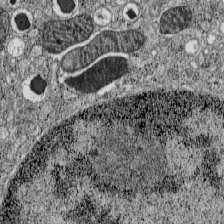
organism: C57BL Mouse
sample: Pancreatic islet